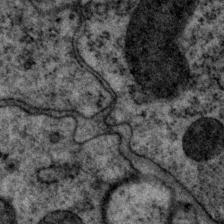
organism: P. pacificus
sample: Pharynx